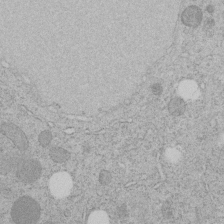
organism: C. elegans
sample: C. elegans embryo early stage